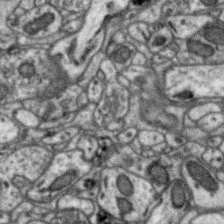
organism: Zebra finch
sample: Brain